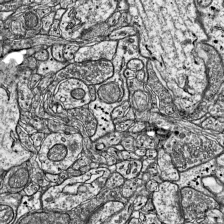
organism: Mouse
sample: Visual Cortex